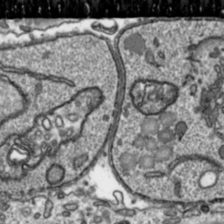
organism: Toxoplasma gondii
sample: Parasites in a vacuole inside a host cell